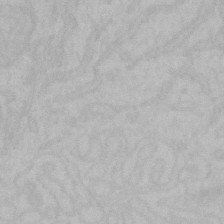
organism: Mouse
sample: Choroid plexus